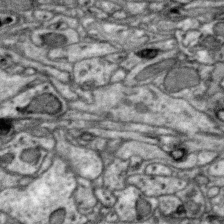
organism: Zebra finch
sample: Brain